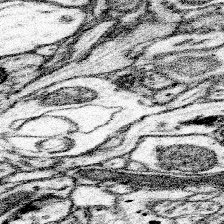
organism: Mouse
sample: Somatosensory cortex neuropil